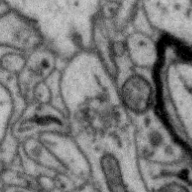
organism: Zebra finch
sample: Brain